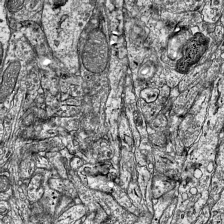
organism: Mouse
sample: Visual Cortex